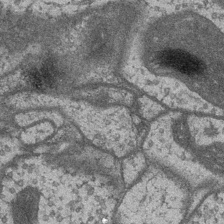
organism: Drosophila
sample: Optic medulla